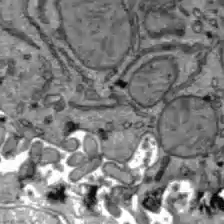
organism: C57BL Mouse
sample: Liver